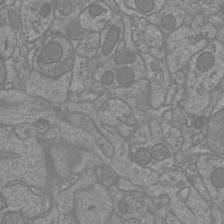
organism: Mouse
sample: Cortical neurons